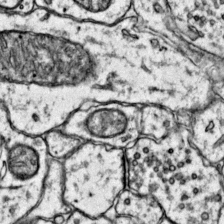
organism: Mouse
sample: Primary visual cortex